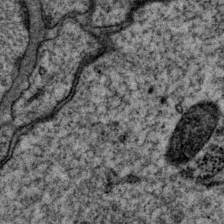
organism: P. pacificus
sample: Pharynx